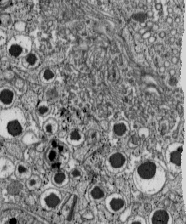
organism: C57BL Mouse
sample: Pancreatic islet